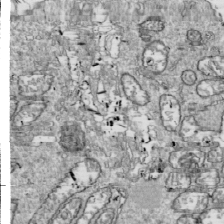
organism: Drosophila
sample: Cell division; meiosis; drosophila spermatocytes